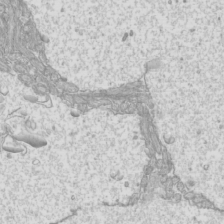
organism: Mouse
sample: Cilia; mouse epididymis